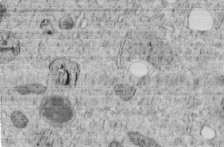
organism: C. elegans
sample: C. elegans embryo early stage